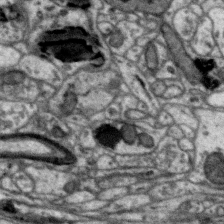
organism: Zebra finch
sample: Brain